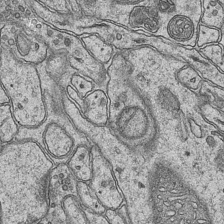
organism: Mouse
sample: CA1 Hippocampus